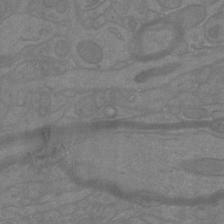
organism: Mouse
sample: Cortical neurons